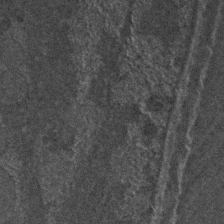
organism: C. elegans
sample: C. elegans embryo